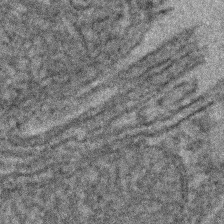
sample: Kidney